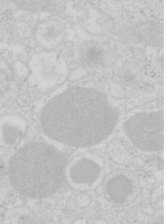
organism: Mouse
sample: Pancreas